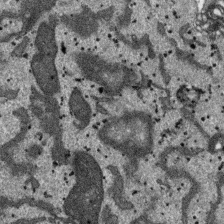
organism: Human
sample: Lung epithelial cells, uninfected (mock) control